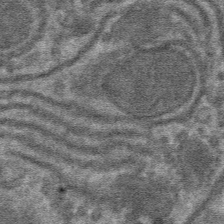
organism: Mouse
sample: Mouse hepatocytes